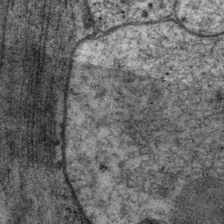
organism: P. pacificus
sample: Pharynx